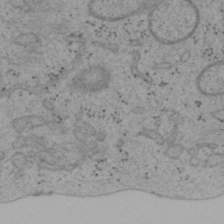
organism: Human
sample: HeLa cells